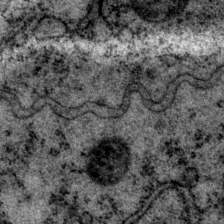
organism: P. pacificus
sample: Pharynx